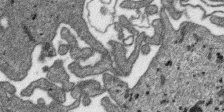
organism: Human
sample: Lung epithelial cells infected with SARS-CoV-2